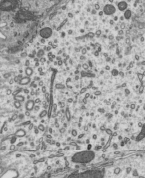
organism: Mouse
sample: Mouse epididymis efferent ductule cilia